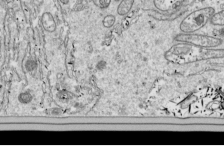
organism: Drosophila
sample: Cell division; meiosis; drosophila spermatocytes